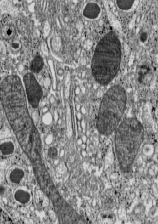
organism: C57BL Mouse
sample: Pancreatic islet